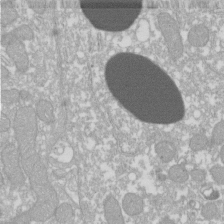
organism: Xenopus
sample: Cilia; centrioles in frog embryo cells